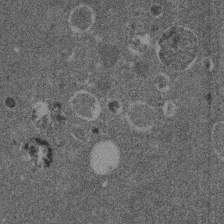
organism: Mouse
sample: Dividing mouse embryo 1 cell stage